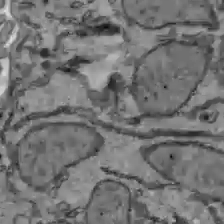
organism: C57BL Mouse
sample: Liver